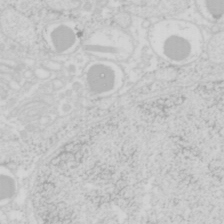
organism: Mouse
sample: Pancreas